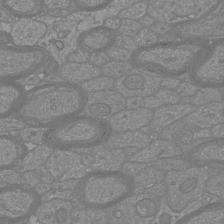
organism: Mouse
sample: Cortical neurons